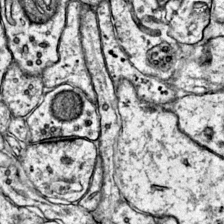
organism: Mouse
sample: Primary visual cortex